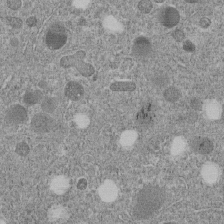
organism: C. elegans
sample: C. elegans embryo early stage